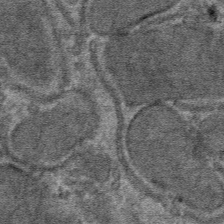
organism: Mouse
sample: Mouse hepatocytes